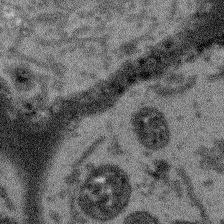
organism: Arabidopsis thaliana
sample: Root tip